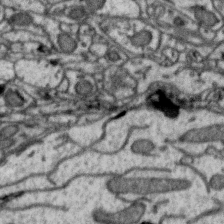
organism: Zebra finch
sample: Brain